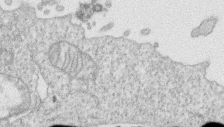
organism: Human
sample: HeLa cell HIV synapse